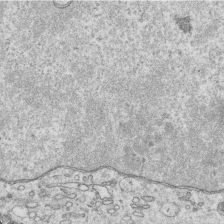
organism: Human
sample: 1205lu cells